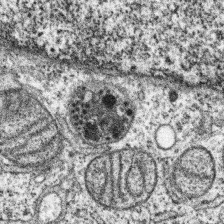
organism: Human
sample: HeLa cells